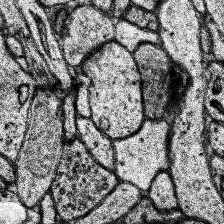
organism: Human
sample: Temporal Lobe